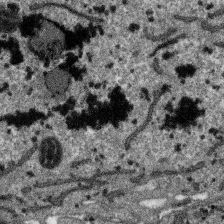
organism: Human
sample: Lung epithelial cells infected with SARS-CoV-2